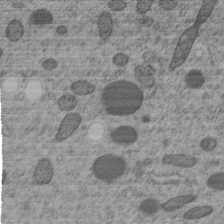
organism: C. elegans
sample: C. elegans embryo early stage